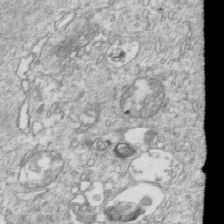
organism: Mouse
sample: Activated OT-1 CD8+ T cells